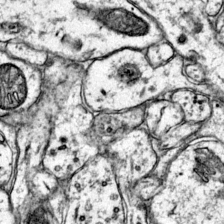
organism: Mouse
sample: Primary visual cortex